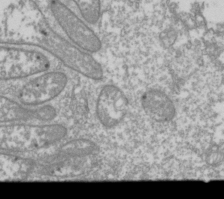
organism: Drosophila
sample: Cell division; meiosis; drosophila spermatocytes